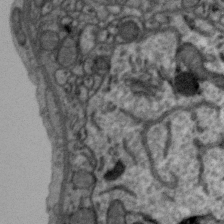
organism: Zebra finch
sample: Brain